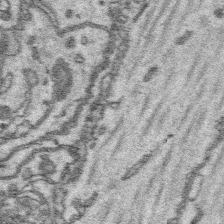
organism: Platynereis dumerilii